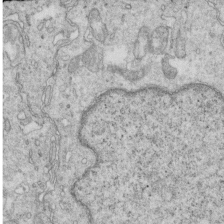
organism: Mouse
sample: Multiciliated cells